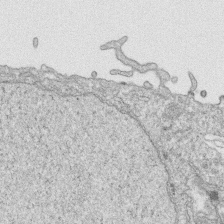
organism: Human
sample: HeLa cell HIV synapse